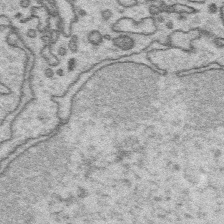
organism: Platynereis dumerilii